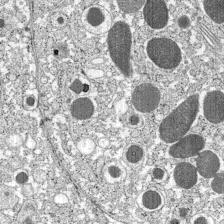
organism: C57BL Mouse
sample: Pancreatic islet